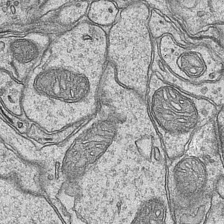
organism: Mouse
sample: CA1 Hippocampus